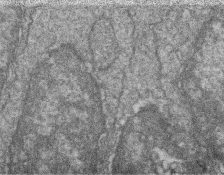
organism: Zebrafish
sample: Cilia; retinal pigment epithelium